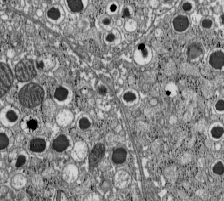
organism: C57BL Mouse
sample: Pancreatic islet